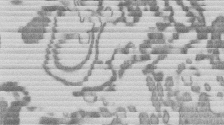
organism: Mouse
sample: Dividing mouse embryo 1 cell stage